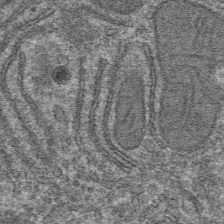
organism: Mouse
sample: Mouse hepatocytes